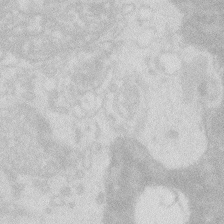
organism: Zebrafish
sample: Macrophage